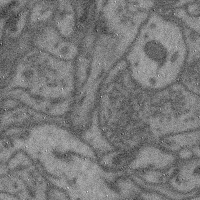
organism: Mouse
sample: Cerebral cortex